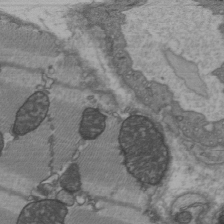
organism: C57BL Mouse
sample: Heart